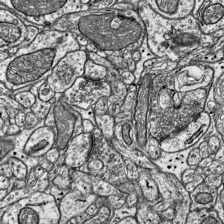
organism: Mouse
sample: Visual Cortex